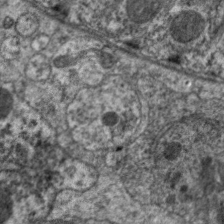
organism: C. elegans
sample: Pharynx